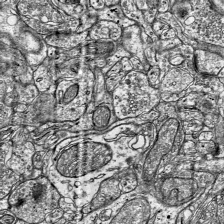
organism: Mouse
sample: Visual Cortex